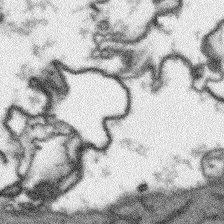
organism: Arabidopsis thaliana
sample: Root tip